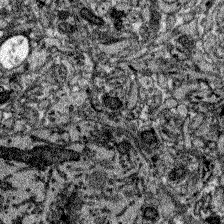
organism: Zebrafish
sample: Larval olfactory bulb